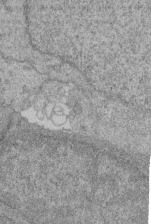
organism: Human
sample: Retinal organoid Rod and Cone cells